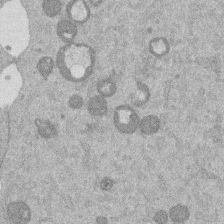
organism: Mouse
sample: Dividing mouse embryo 1 cell stage